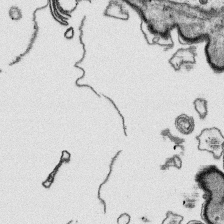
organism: Platynereis dumerilii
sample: Parapodia